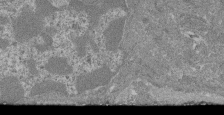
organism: Mouse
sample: Glomerulus